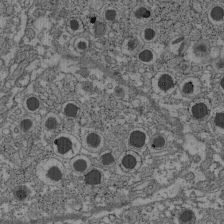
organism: C57BL Mouse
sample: Pancreatic islet